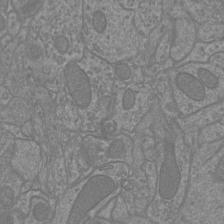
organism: Mouse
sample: Cortical neurons